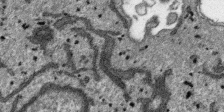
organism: Human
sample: Lung epithelial cells, uninfected (mock) control